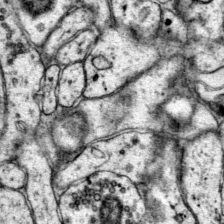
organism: Mouse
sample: Primary visual cortex